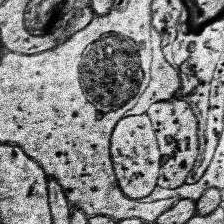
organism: Human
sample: Temporal Lobe